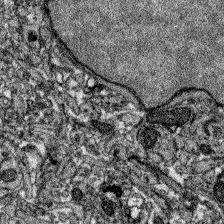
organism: Zebrafish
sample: Larval olfactory bulb